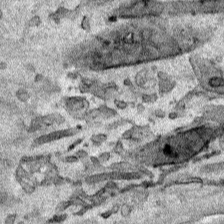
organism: Human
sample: Mitochondria in HCT116 cells